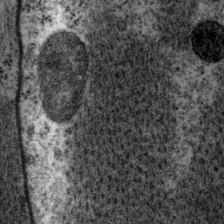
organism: P. pacificus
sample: Pharynx